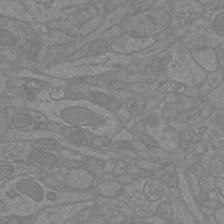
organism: Mouse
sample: Cortical neurons